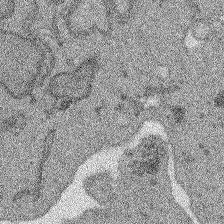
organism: Human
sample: HeLa cells